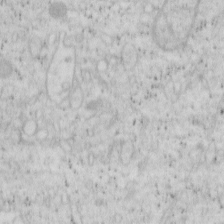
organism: Human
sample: HeLa cells